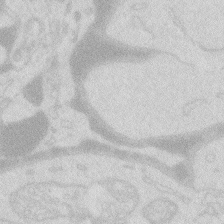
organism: Zebrafish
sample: Macrophage